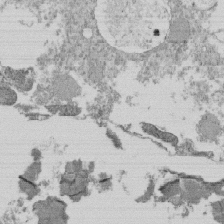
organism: Tetrahymena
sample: Cilia in tetrahymena